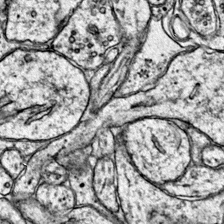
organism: Mouse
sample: Primary visual cortex